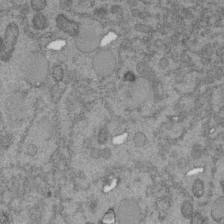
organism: C. elegans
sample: C. elegans embryo early stage